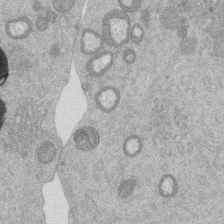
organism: Mouse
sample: Dividing mouse embryo 1 cell stage